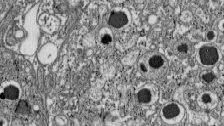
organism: C57BL Mouse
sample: Pancreatic islet